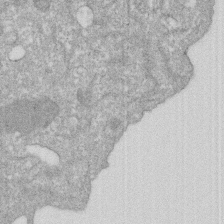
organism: Human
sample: HIV infected U937 cells